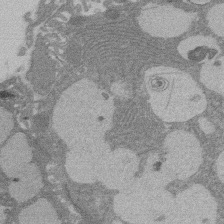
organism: Rat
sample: Salivary granule